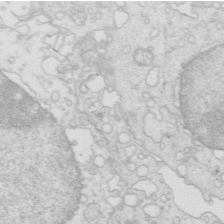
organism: Mouse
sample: Multiciliated cells